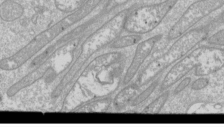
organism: Drosophila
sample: Cell division; meiosis; drosophila spermatocytes